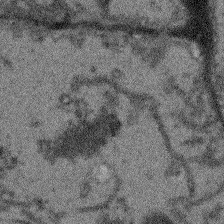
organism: Arabidopsis thaliana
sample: Root tip